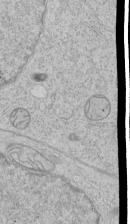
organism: Human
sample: Mitochondria in HCT116 cells